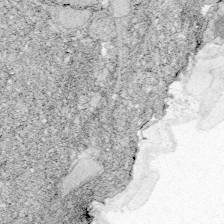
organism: Zebrafish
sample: Whole-Brain